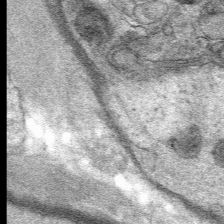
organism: Mouse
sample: Mouse Salivary gland